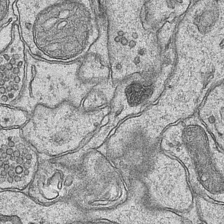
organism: Mouse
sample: CA1 Hippocampus